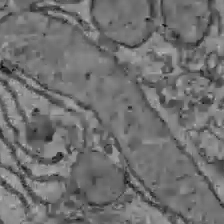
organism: C57BL Mouse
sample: Liver